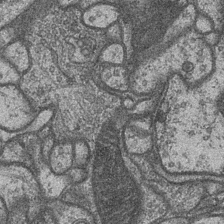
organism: Drosophila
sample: Optic medulla